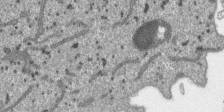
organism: Human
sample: Lung epithelial cells infected with SARS-CoV-2